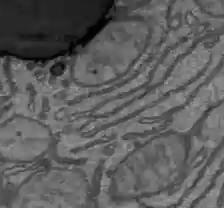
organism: C57BL Mouse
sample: Liver